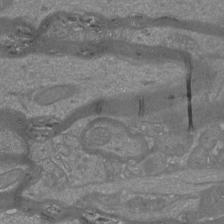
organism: Mouse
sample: Cortical neurons